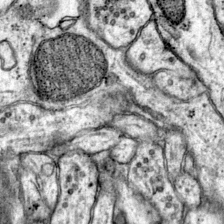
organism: Mouse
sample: Primary visual cortex